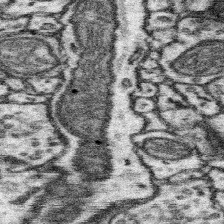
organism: Mouse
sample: Somatosensory cortex neuropil